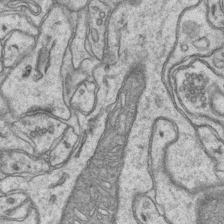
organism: Mouse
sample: CA1 Hippocampus